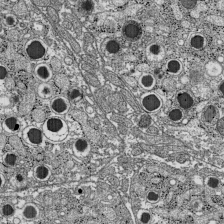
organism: C57BL Mouse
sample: Pancreatic islet